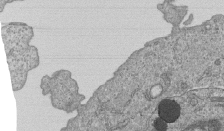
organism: Human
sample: MDA-MB-231 cells